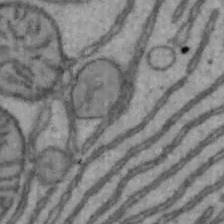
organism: Mouse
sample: Liver